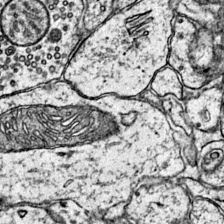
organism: Mouse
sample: Primary visual cortex